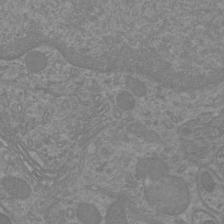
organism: Mouse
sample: Cortical neurons